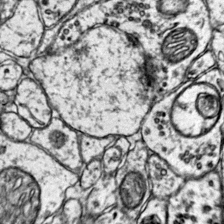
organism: Mouse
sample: Primary visual cortex